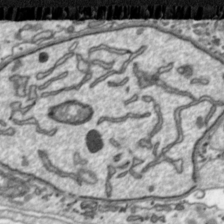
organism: Toxoplasma gondii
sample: Parasites in a vacuole inside a host cell